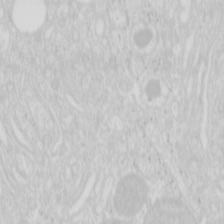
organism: Mouse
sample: Pancreas